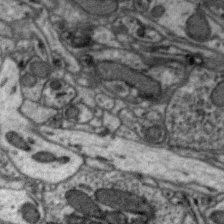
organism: Zebra finch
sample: Brain